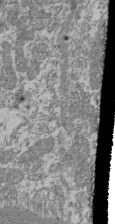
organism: Mouse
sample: Glomerulus